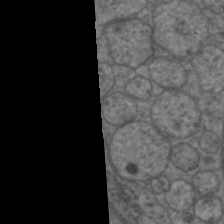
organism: C. elegans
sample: Pharynx